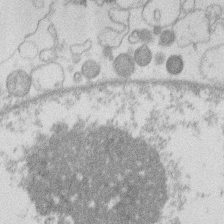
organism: Human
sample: Macrophage cells